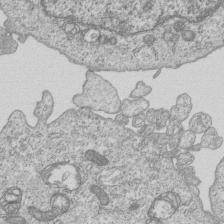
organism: Human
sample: MDA-MB-231 cells